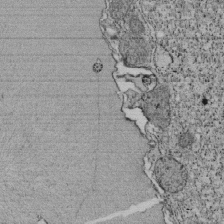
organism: Tetrahymena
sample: Cilia in tetrahymena